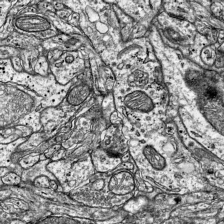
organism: Mouse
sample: Visual Cortex